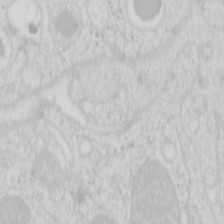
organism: Mouse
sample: Pancreas